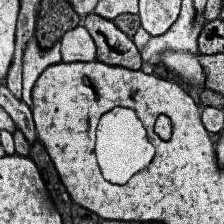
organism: Human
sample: Temporal Lobe